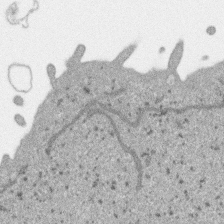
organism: Human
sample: Lung epithelial cells infected with SARS-CoV-2